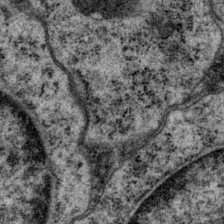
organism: P. pacificus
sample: Pharynx